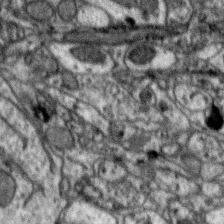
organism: Zebra finch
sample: Brain